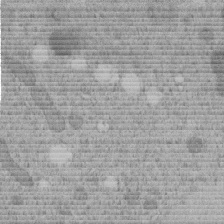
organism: C. elegans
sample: C. elegans embryo early stage